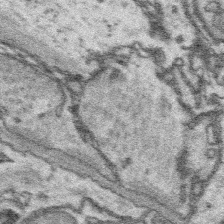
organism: Platynereis dumerilii